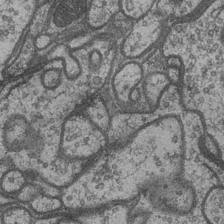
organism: Drosophila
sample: Optic medulla